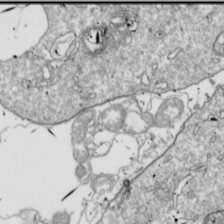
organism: Drosophila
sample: Cell division; meiosis; drosophila spermatocytes